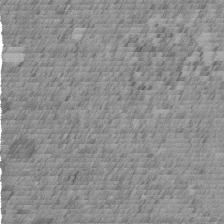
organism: C. elegans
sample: C. elegans embryo early stage